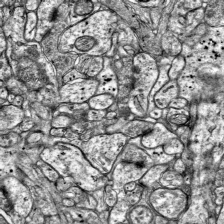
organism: Mouse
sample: Visual Cortex